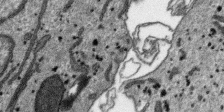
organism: Human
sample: Lung epithelial cells, uninfected (mock) control